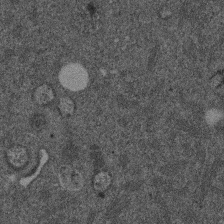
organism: Mouse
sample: Dividing mouse embryo 1 cell stage